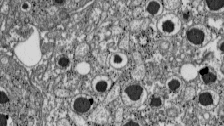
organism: C57BL Mouse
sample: Pancreatic islet